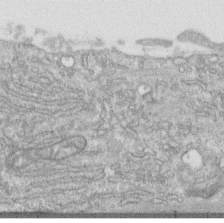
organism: Human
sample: Centriole in RPE cells